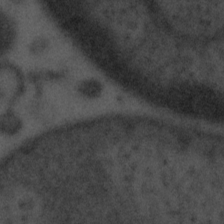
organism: Tuwongella immobilis